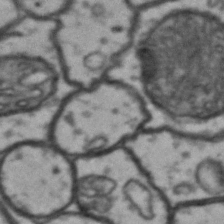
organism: Drosophila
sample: Brain